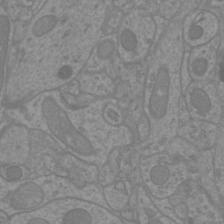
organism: Mouse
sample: Cortical neurons